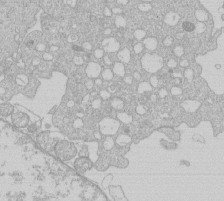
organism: Human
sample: Macrophage cells